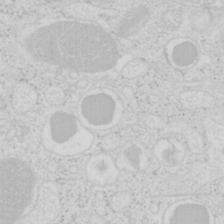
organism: Mouse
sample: Pancreas